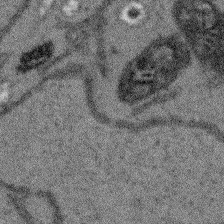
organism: Arabidopsis thaliana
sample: Root tip